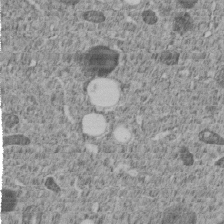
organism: C. elegans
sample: C. elegans embryo early stage